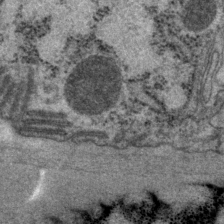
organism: P. pacificus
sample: Pharynx